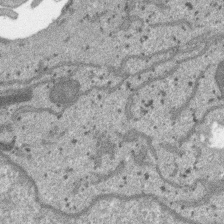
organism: Human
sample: Lung epithelial cells infected with SARS-CoV-2